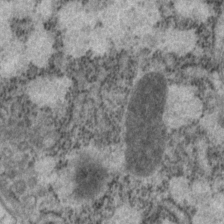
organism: P. pacificus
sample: Pharynx